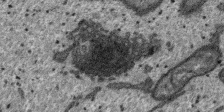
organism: Human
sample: Lung epithelial cells, uninfected (mock) control